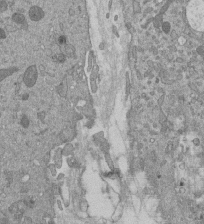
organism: Mouse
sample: ED-1 cell nuclei; centrioles